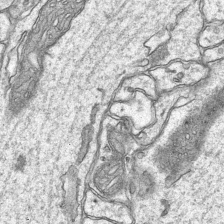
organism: Mouse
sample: CA1 Hippocampus